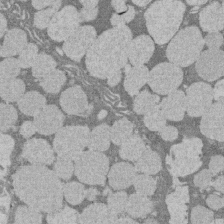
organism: Rat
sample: Salivary granule